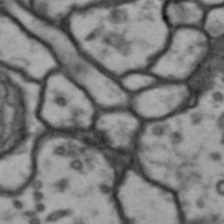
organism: Drosophila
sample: Brain